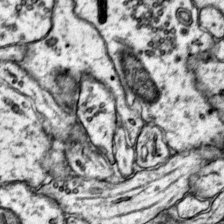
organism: Mouse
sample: Primary visual cortex